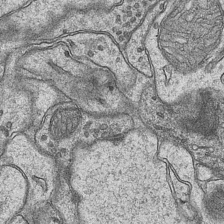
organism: Mouse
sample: CA1 Hippocampus